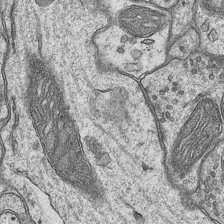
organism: Mouse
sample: CA1 Hippocampus